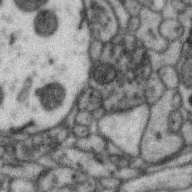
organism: Zebra finch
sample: Brain